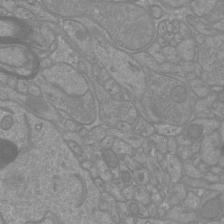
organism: Mouse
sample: Cortical neurons